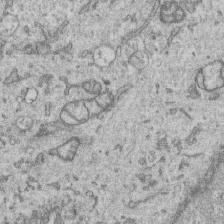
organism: Human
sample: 1205lu cells